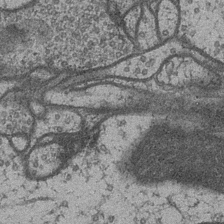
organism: Drosophila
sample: Optic medulla